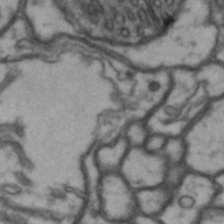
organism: Drosophila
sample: Brain